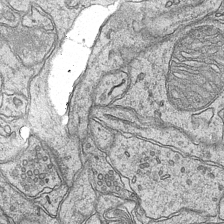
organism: Mouse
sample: CA1 Hippocampus